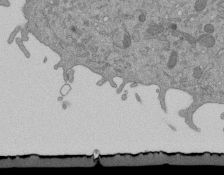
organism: Mouse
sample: ED-1 cell nuclei; centrioles